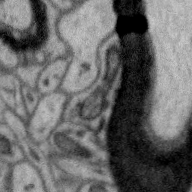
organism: Zebra finch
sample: Brain